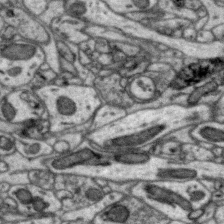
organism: Zebra finch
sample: Brain